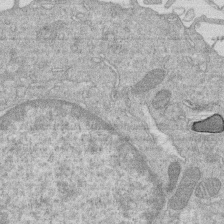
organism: Human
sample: Macrophage cells